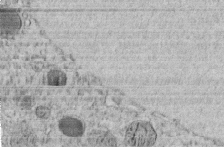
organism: C. elegans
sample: C. elegans embryo early stage